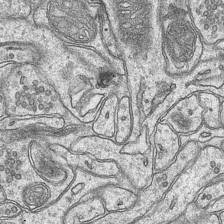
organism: Mouse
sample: CA1 Hippocampus